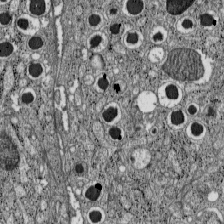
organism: C57BL Mouse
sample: Pancreatic islet